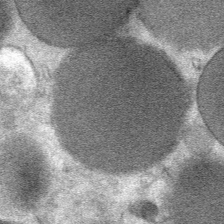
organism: Mouse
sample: Mouse Salivary gland